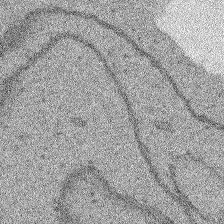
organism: Human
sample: HeLa cells